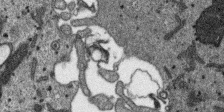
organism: Human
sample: Lung epithelial cells infected with SARS-CoV-2